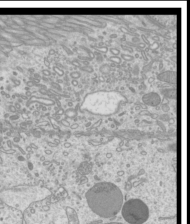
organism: Mouse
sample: Cilia; mouse epididymis